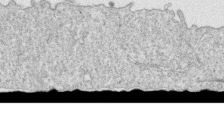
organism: Human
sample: HeLa cell HIV synapse